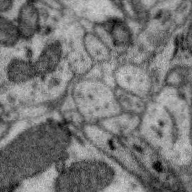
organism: Zebra finch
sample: Brain